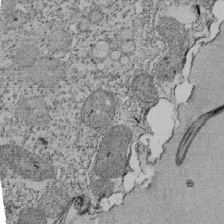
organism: Tetrahymena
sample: Cilia in tetrahymena